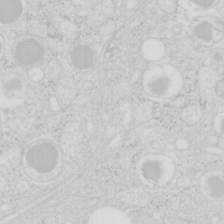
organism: Mouse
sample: Pancreas